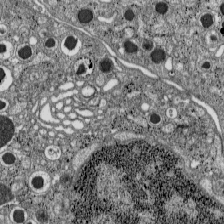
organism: C57BL Mouse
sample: Pancreatic islet